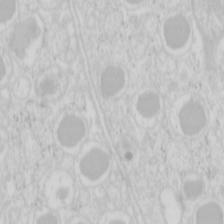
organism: Mouse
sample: Pancreas